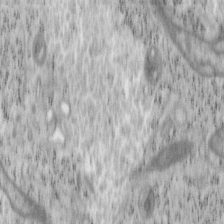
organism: Human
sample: HeLa cells